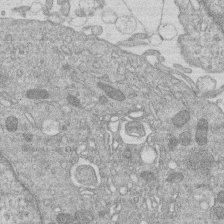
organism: Human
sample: Macrophage cells